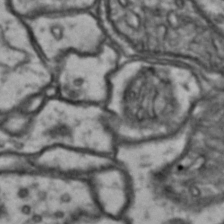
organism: Drosophila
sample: Brain